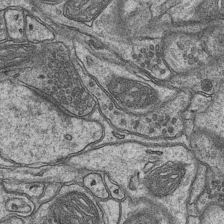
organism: Mouse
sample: CA1 Hippocampus